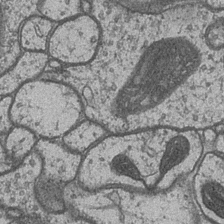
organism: Drosophila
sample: Optic medulla